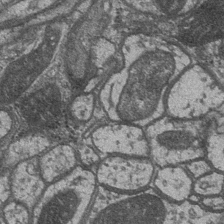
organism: Drosophila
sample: Optic medulla